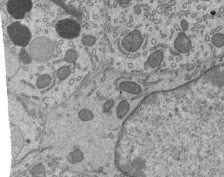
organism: Mouse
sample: Mouse epididymis efferent ductule cilia